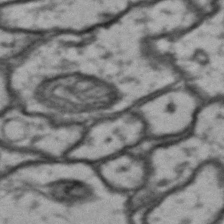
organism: Drosophila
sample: Brain